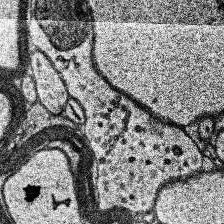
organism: Human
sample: Temporal Lobe